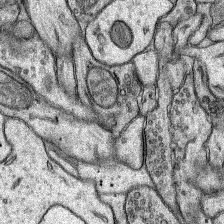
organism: Rat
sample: Hippocampus